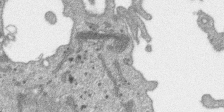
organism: Human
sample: Lung epithelial cells infected with SARS-CoV-2